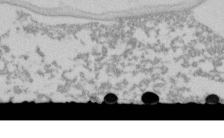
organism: C. elegans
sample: C. elegans embryo early stage